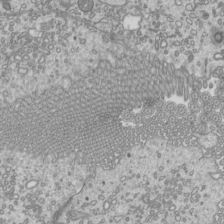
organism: Mouse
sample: Cilia; mouse epididymis